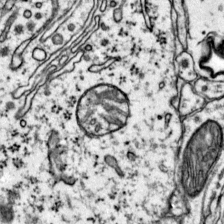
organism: Mouse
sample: Primary visual cortex